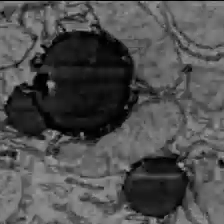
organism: C57BL Mouse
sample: Liver